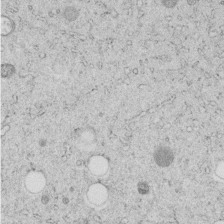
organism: C. elegans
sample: C. elegans embryo early stage